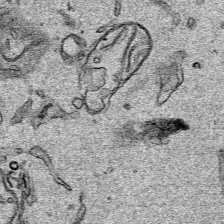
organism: Human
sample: Mitochondria in HCT116 cells